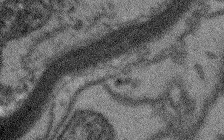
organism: Arabidopsis thaliana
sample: Root tip